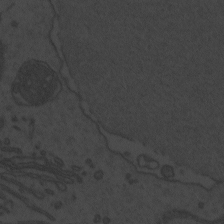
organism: Zebrafish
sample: Macrophage infected with Toxoplasma gondii